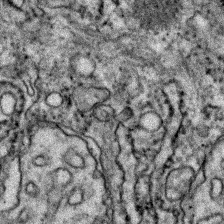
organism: Zebrafish